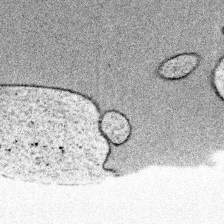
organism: Human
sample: HeLa cells